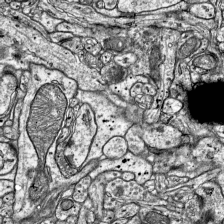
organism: Mouse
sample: Visual Cortex